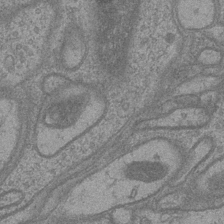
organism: Drosophila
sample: Optic medulla